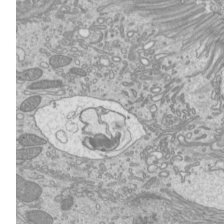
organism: Mouse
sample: Cilia; mouse epididymis